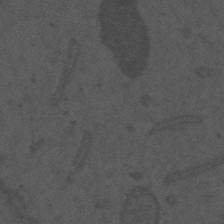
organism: Mouse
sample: Suprachiasmatic nucleus